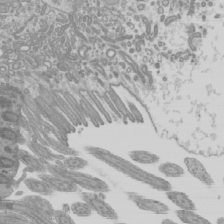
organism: Mouse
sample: Cilia; mouse epididymis